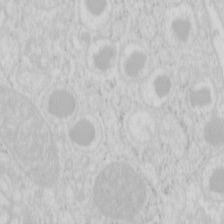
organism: Mouse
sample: Pancreas